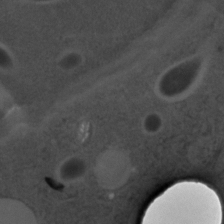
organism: C. elegans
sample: C. elegans embryo